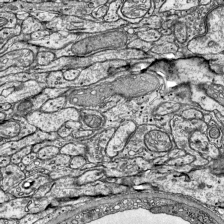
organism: Mouse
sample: Visual Cortex